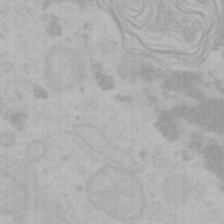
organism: Mouse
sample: Choroid plexus